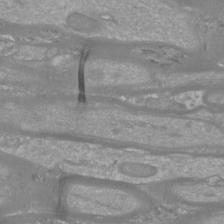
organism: Mouse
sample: Cortical neurons